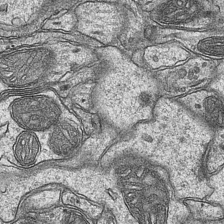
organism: Mouse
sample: CA1 Hippocampus